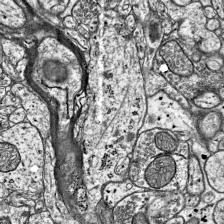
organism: Mouse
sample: Visual Cortex